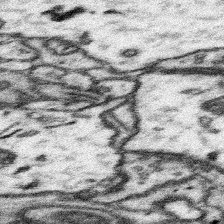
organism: Mouse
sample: Somatosensory cortex neuropil